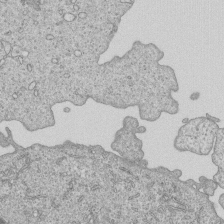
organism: Human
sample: MDA-MB-231 cells